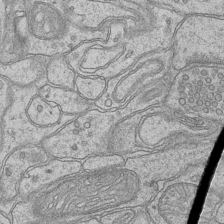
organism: Mouse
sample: CA1 Hippocampus